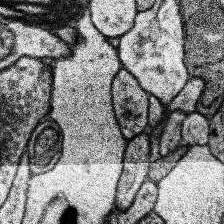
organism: Human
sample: Temporal Lobe